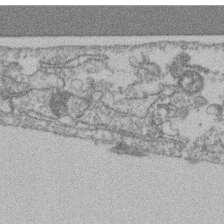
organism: Mouse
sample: T cell stromal cell synapse